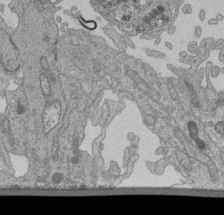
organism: Human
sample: Retinal organoid Rod and Cone cells